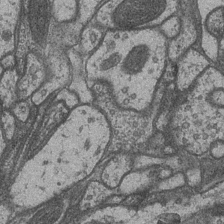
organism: Drosophila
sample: Optic medulla